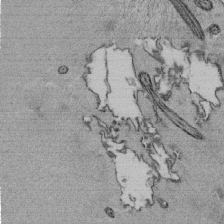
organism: Tetrahymena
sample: Cilia in tetrahymena